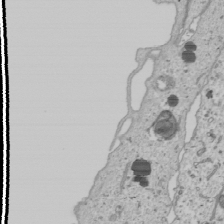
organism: Human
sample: Mitochondria in U2OS cells